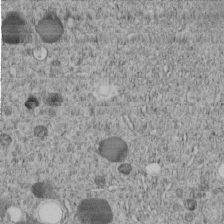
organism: C. elegans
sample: C. elegans embryo early stage